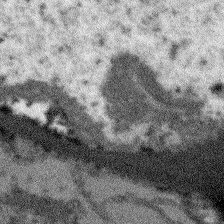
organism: Arabidopsis thaliana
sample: Root tip